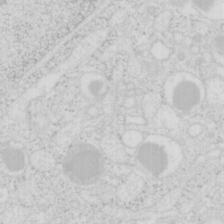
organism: Mouse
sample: Pancreas